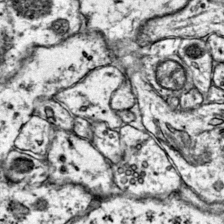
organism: Mouse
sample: Primary visual cortex